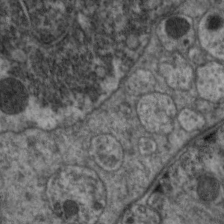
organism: C. elegans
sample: Pharynx